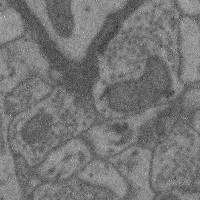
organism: Mouse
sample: Cerebral cortex